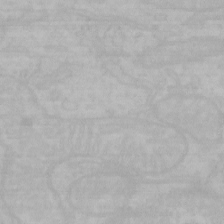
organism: Mouse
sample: Choroid plexus